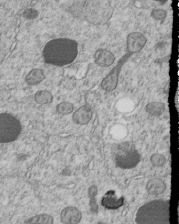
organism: C. elegans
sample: C. elegans embryo early stage